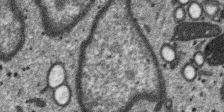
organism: Human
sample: Lung epithelial cells infected with SARS-CoV-2